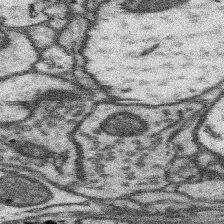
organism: Mouse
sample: Somatosensory cortex neuropil